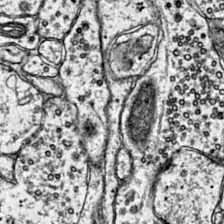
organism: Mouse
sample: Primary visual cortex